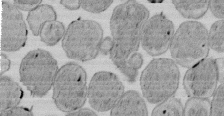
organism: E. coli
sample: Bacterial nucleoid